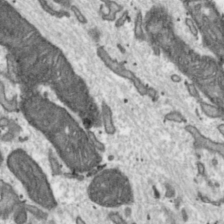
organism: Toxoplasma gondii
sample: Parasites in a vacuole inside a host cell